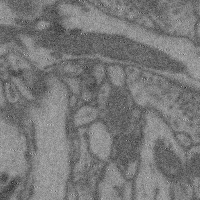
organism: Mouse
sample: Cerebral cortex